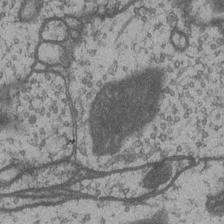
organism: Drosophila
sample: Optic medulla